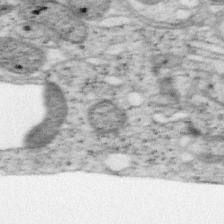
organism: Mouse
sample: OT-I killer T cells with ID8 ovarian cancer cells